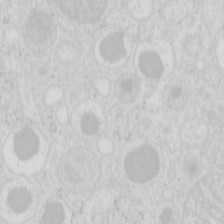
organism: Mouse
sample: Pancreas